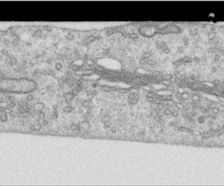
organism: Human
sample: Centriole in RPE cells